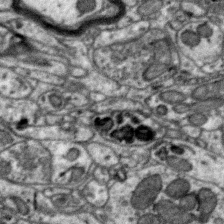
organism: Zebra finch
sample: Brain